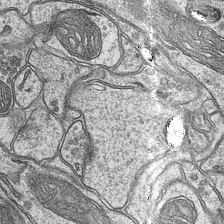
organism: Mouse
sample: CA1 Hippocampus